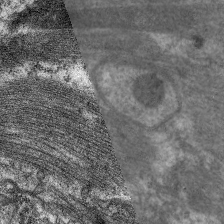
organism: C. elegans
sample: Pharynx